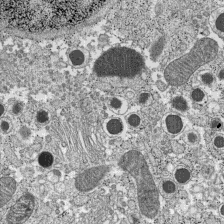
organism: C57BL Mouse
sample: Pancreatic islet